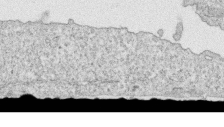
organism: Human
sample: HeLa cell HIV synapse